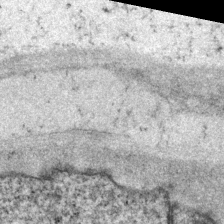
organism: P. pacificus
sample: Pharynx